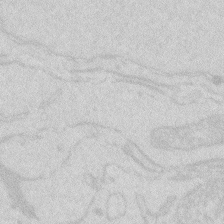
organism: Zebrafish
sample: Macrophage